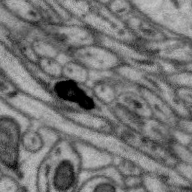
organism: Zebra finch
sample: Brain